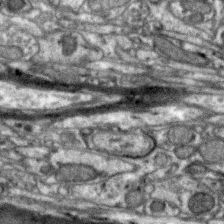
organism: Zebra finch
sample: Brain